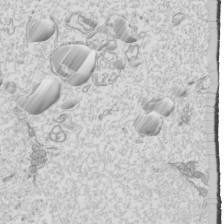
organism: Mouse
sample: Cilia; mouse epididymis